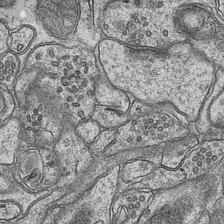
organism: Mouse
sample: CA1 Hippocampus